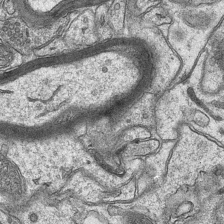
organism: Mouse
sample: CA1 Hippocampus